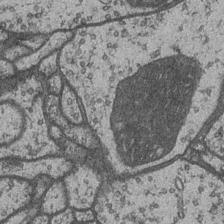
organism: Drosophila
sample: Optic medulla